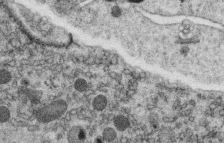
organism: C. elegans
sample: C. elegans oocyte; sperm cells